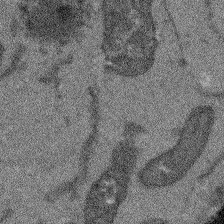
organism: Arabidopsis thaliana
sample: Root tip